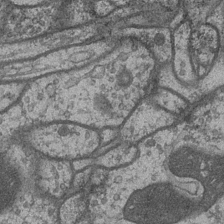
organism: Drosophila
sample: Optic medulla